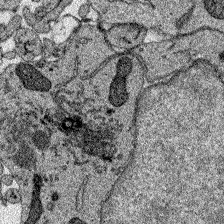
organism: Zebrafish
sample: Larval olfactory bulb